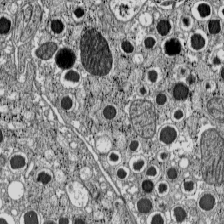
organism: C57BL Mouse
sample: Pancreatic islet